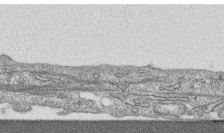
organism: Human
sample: CRL-1474